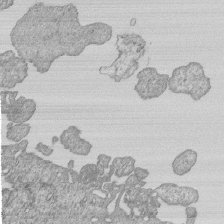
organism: Human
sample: MDA-MB-231 cells